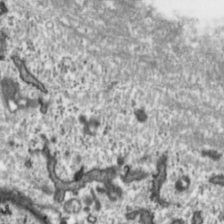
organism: Toxoplasma gondii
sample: Parasites in a vacuole inside a host cell